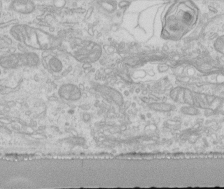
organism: Human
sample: Centriole in RPE cells